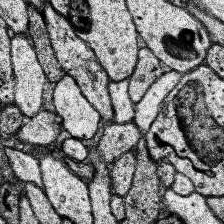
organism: Human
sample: Temporal Lobe